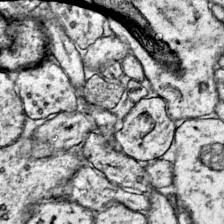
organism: Mouse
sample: Primary visual cortex